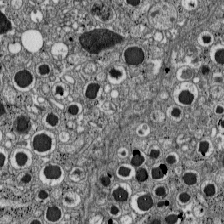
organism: C57BL Mouse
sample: Pancreatic islet